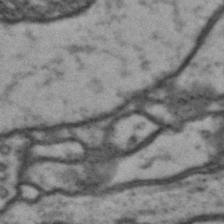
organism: Drosophila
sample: Brain